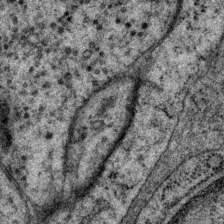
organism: P. pacificus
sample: Pharynx